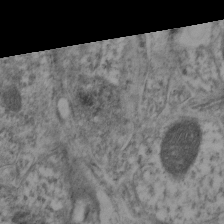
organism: Mouse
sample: Neocortex